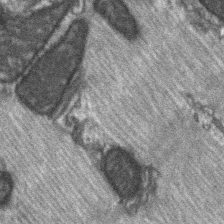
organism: C57BL Mouse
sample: Soleus